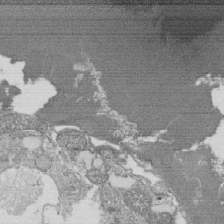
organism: Tetrahymena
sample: Cilia in tetrahymena